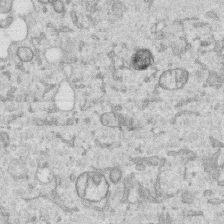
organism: Human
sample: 1205lu cells